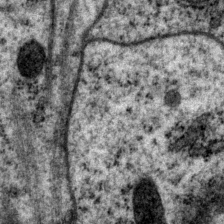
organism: P. pacificus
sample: Pharynx